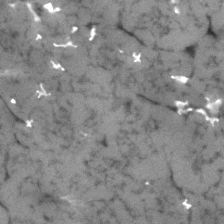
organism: Human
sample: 1205lu cells